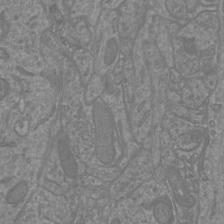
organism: Mouse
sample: Cortical neurons